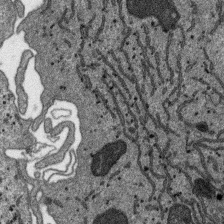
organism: Human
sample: Lung epithelial cells infected with SARS-CoV-2